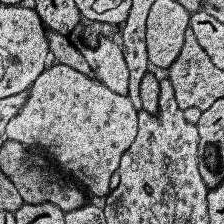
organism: Human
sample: Temporal Lobe